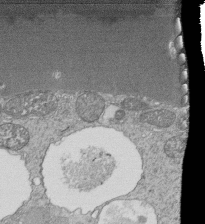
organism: Tetrahymena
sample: Cilia in tetrahymena